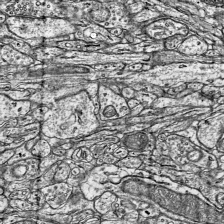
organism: Mouse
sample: Visual Cortex